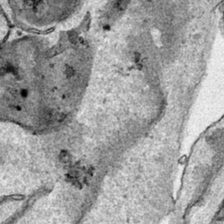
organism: Human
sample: Mitochondria in HCT116 cells